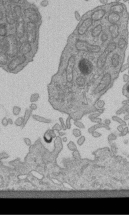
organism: Human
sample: Retinal organoid Rod and Cone cells